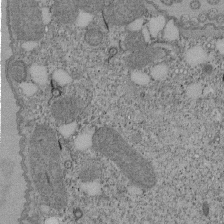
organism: Tetrahymena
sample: Cilia in tetrahymena